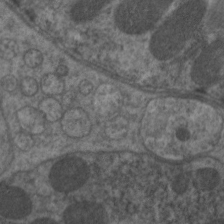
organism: C. elegans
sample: Pharynx